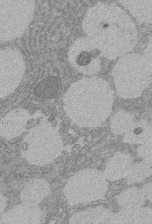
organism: Rat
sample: Salivary granule